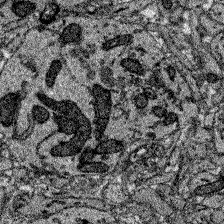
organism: Zebrafish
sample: Larval olfactory bulb